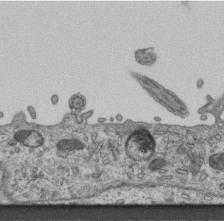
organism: Mouse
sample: Centriole in ependymal cells